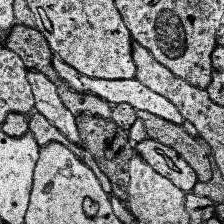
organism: Human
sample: Temporal Lobe